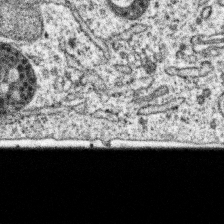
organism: Human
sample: HeLa cells